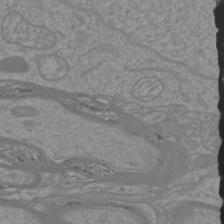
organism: Mouse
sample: Cortical neurons